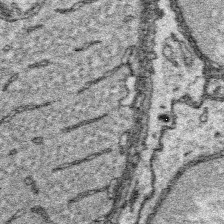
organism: Platynereis dumerilii